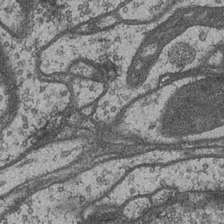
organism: Drosophila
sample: Optic medulla